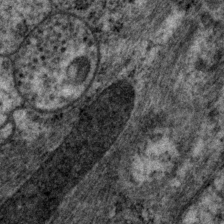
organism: P. pacificus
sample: Pharynx